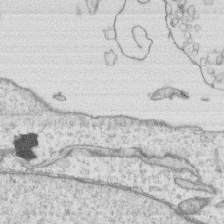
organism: Human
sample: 1205lu cells